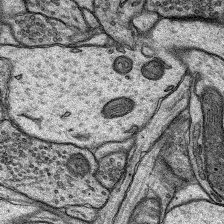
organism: Rat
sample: Hippocampus